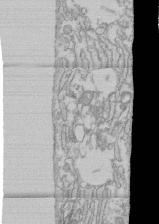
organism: Human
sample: CRL-1474